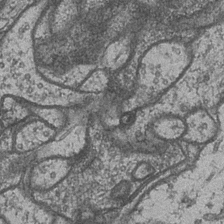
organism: Drosophila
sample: Optic medulla